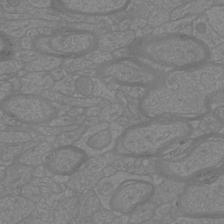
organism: Mouse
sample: Cortical neurons